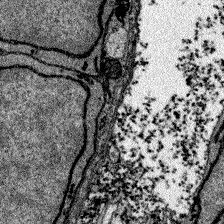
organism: Zebrafish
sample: Larval olfactory bulb